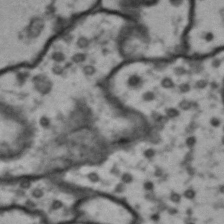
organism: Drosophila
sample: Brain